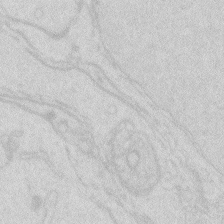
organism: Zebrafish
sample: Macrophage